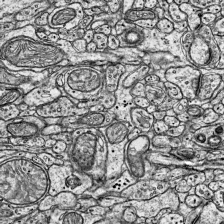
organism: Mouse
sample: Visual Cortex